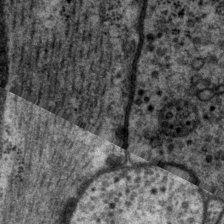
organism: P. pacificus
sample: Pharynx